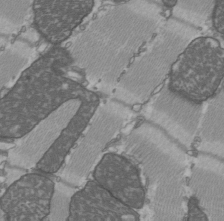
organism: C57BL Mouse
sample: Heart